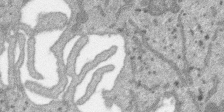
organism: Human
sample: Lung epithelial cells infected with SARS-CoV-2